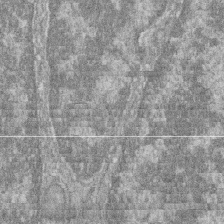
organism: Zebrafish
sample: Cilia; retinal pigment epithelium